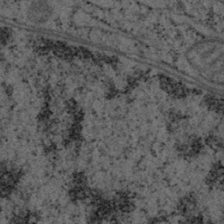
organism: Human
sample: HeLa cells